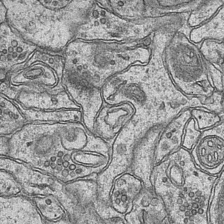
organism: Mouse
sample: CA1 Hippocampus